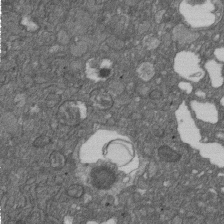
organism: Drosophila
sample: Nephrocyte